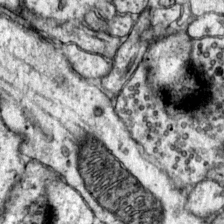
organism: Mouse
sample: Primary visual cortex